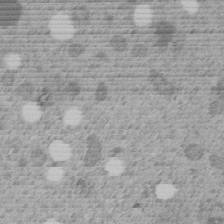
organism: C. elegans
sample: C. elegans embryo early stage